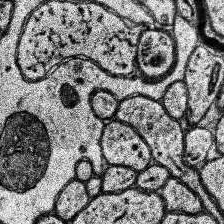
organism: Human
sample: Temporal Lobe